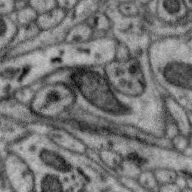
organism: Zebra finch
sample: Brain